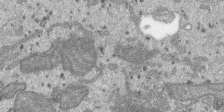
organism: Human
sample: Lung epithelial cells infected with SARS-CoV-2